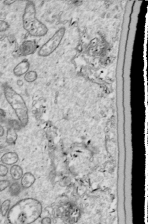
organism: Drosophila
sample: Cell division; meiosis; drosophila spermatocytes